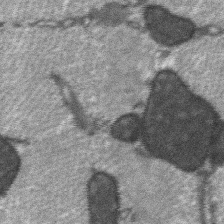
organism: C57BL Mouse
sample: Soleus